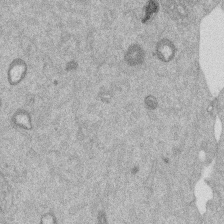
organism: Mouse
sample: Dividing mouse embryo 1 cell stage